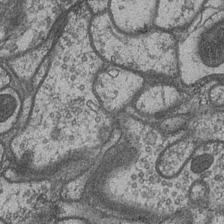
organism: Drosophila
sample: Optic medulla